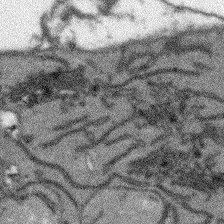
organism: Arabidopsis thaliana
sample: Root tip